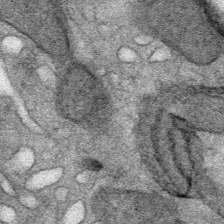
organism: Mouse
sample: Mouse Salivary gland